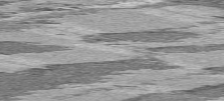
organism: C57BL Mouse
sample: Heart